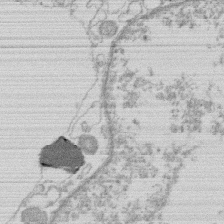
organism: Human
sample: Macrophage cells